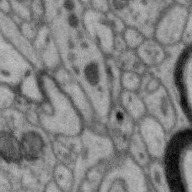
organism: Zebra finch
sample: Brain